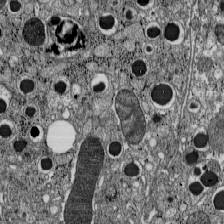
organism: C57BL Mouse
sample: Pancreatic islet